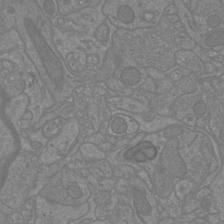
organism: Mouse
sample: Cortical neurons